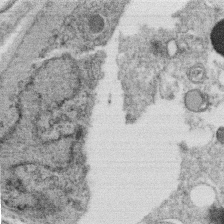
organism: C. elegans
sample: C. elegans oocyte; sperm cells